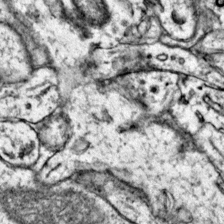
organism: Mouse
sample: Primary visual cortex